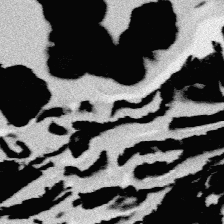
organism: Platynereis dumerilii